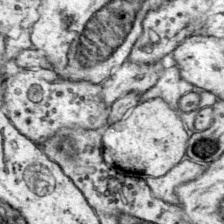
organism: Mouse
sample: Primary visual cortex